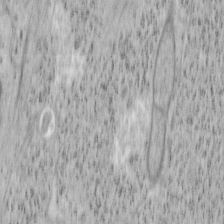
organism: Human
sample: HeLa cells